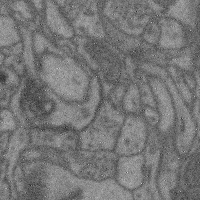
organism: Mouse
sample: Cerebral cortex